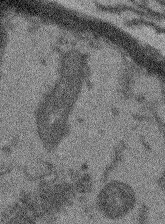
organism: Arabidopsis thaliana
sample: Root tip